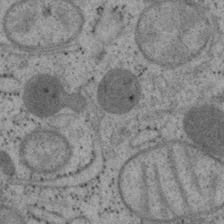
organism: Human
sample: HeLa cells